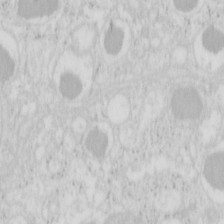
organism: Mouse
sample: Pancreas